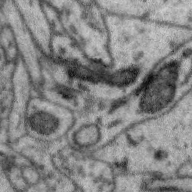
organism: Zebra finch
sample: Brain